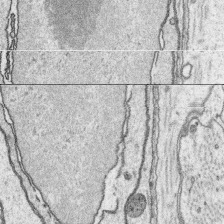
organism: Platynereis dumerilii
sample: Parapodia